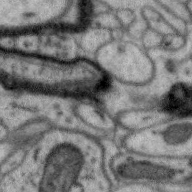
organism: Zebra finch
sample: Brain